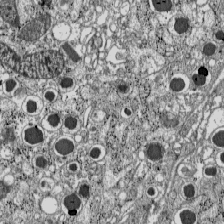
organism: C57BL Mouse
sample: Pancreatic islet